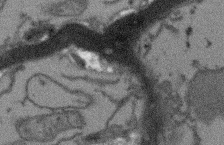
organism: Arabidopsis thaliana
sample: Root tip